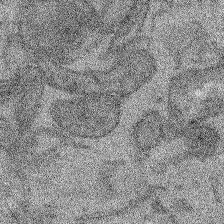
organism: Human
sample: HeLa cells